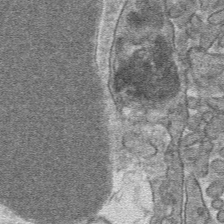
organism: Mouse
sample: Mouse hepatocytes